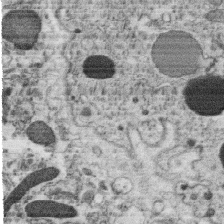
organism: C. elegans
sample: C. elegans oocyte; sperm cells